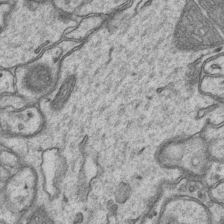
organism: Mouse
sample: CA1 Hippocampus